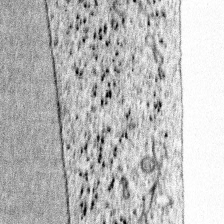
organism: Human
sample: HeLa cells